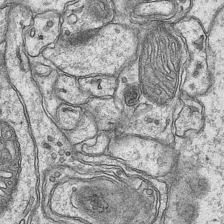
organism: Mouse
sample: CA1 Hippocampus